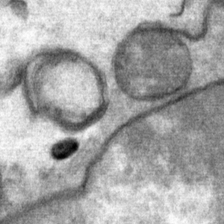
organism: Mouse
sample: Mouse Salivary gland